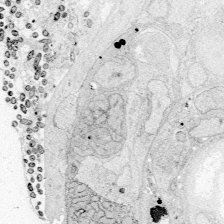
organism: Zebrafish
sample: Whole-Brain